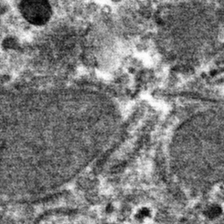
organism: Mouse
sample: Mouse hepatocytes